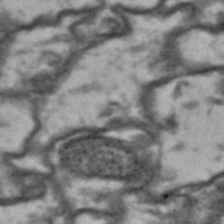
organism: Drosophila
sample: Brain